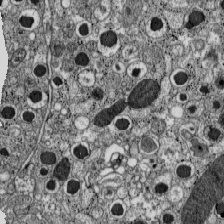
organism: C57BL Mouse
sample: Pancreatic islet